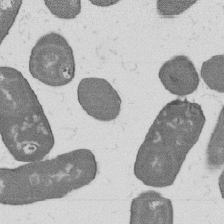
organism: B. subtilis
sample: Bacterial spore